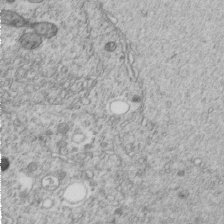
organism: C. elegans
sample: C. elegans embryo early stage